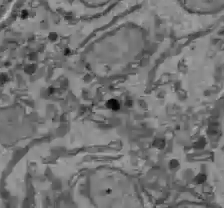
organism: C57BL Mouse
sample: Liver